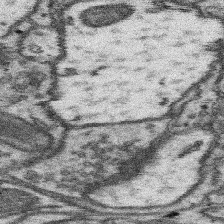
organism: Mouse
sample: Somatosensory cortex neuropil